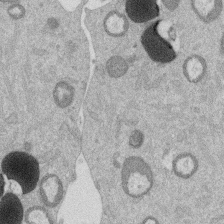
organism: Mouse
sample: Dividing mouse embryo 1 cell stage